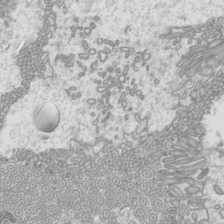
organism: Mouse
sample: Cilia; mouse epididymis